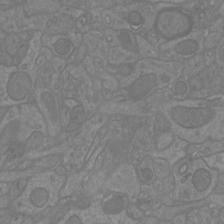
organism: Mouse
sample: Cortical neurons